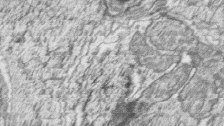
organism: Zebrafish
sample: synaptic ribbons in rod cells and cone cells